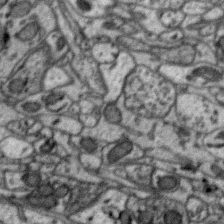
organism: Zebra finch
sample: Brain